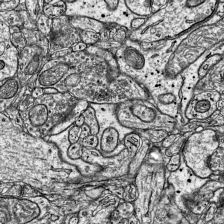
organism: Mouse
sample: Visual Cortex